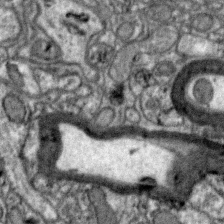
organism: Zebra finch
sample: Brain